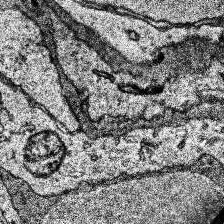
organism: Human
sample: Temporal Lobe